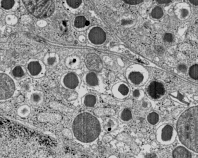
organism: C57BL Mouse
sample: Pancreatic islet